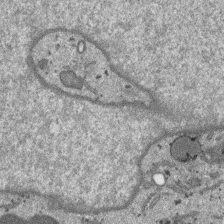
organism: Human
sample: Lung epithelial cells infected with SARS-CoV-2